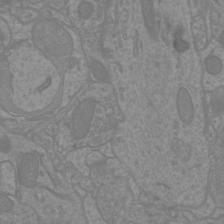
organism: Mouse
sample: Cortical neurons